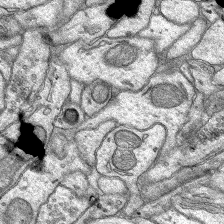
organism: Rat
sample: Hippocampus